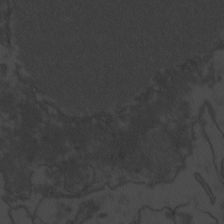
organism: Zebrafish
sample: Macrophage infected with Toxoplasma gondii